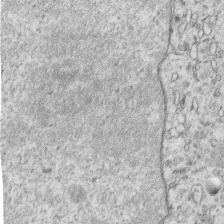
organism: Human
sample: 1205lu cells